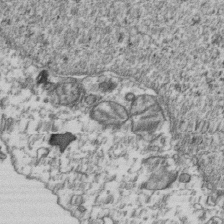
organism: Human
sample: Activated Jurkat CD4+ T cells